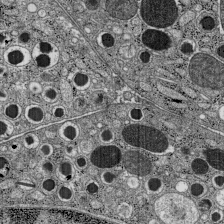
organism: C57BL Mouse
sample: Pancreatic islet